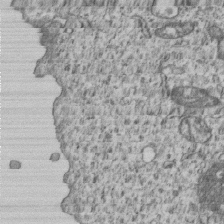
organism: Human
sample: MDA-MB-231 cells